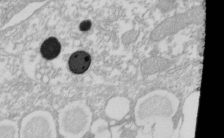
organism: Xenopus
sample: Cilia; centrioles in frog embryo cells